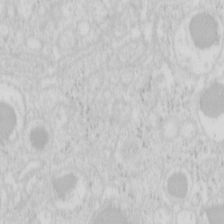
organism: Mouse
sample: Pancreas